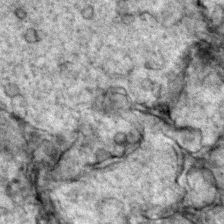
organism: Zebrafish